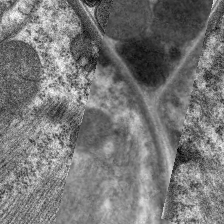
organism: C. elegans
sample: Pharynx